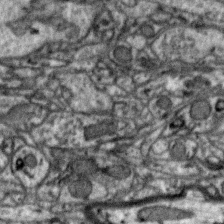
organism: Zebra finch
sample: Brain